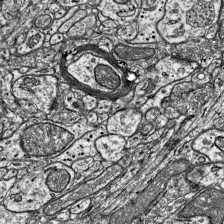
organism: Mouse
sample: Visual Cortex